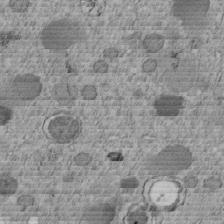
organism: C. elegans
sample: C. elegans embryo early stage